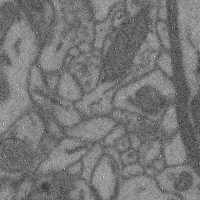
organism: Mouse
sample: Cerebral cortex